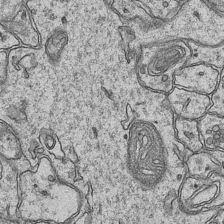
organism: Mouse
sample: CA1 Hippocampus